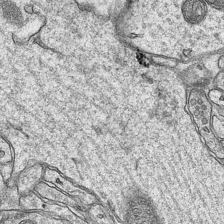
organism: Mouse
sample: CA1 Hippocampus